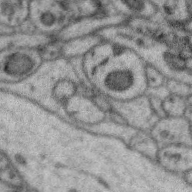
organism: Zebra finch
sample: Brain